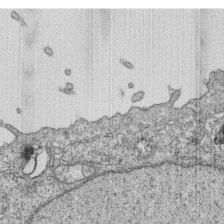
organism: Human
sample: HeLa cell HIV synapse